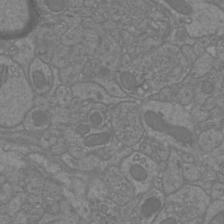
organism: Mouse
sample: Cortical neurons